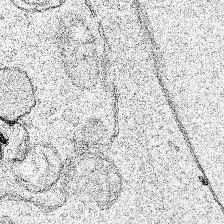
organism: Human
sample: Mitochondria in HCT116 cells